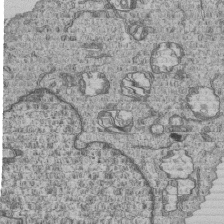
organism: Human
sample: MDA-MB-231 cells